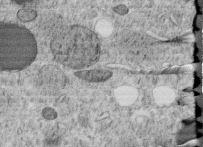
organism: C. elegans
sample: C. elegans embryo early stage